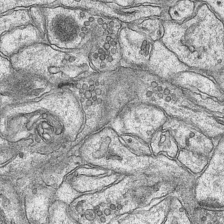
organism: Mouse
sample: CA1 Hippocampus